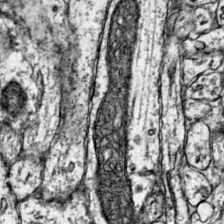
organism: Mouse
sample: Primary visual cortex